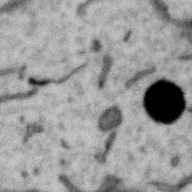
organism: Zebra finch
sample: Brain